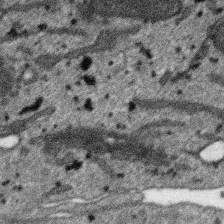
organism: Human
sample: Lung epithelial cells infected with SARS-CoV-2